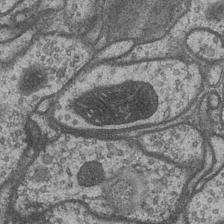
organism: Drosophila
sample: Optic medulla